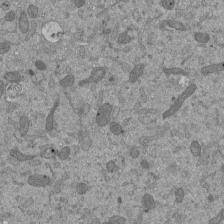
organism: Mouse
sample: ED-1 cell nuclei; centrioles